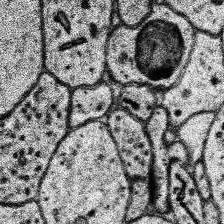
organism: Human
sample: Temporal Lobe